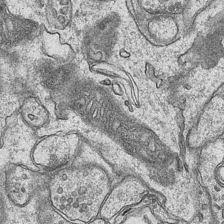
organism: Mouse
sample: CA1 Hippocampus